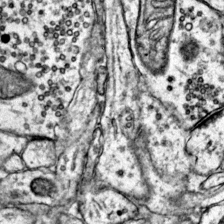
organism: Mouse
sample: Primary visual cortex